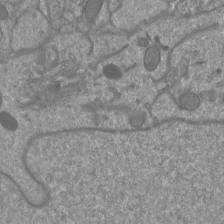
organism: Mouse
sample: Cortical neurons